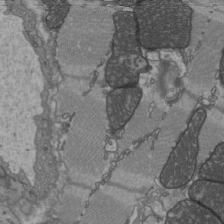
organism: C57BL Mouse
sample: Heart